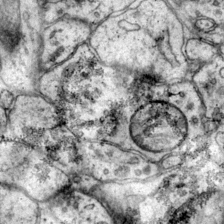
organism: Mouse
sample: Primary visual cortex